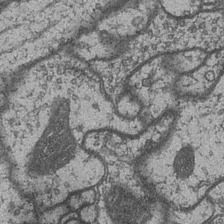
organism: Drosophila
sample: Optic medulla